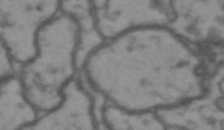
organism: Drosophila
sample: Brain